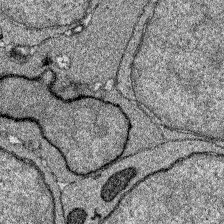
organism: Zebrafish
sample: Larval olfactory bulb